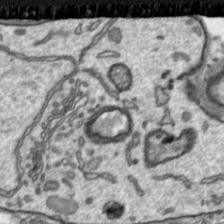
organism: Toxoplasma gondii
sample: Parasites in a vacuole inside a host cell